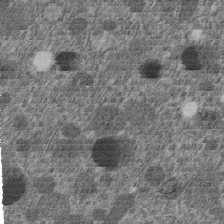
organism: C. elegans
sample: C. elegans embryo early stage